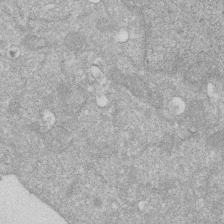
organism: Human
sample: HIV infected U937 cells